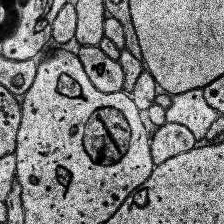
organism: Human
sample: Temporal Lobe